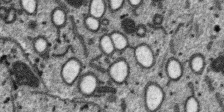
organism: Human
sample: Lung epithelial cells infected with SARS-CoV-2